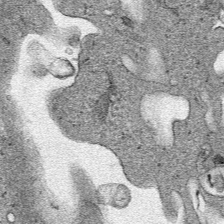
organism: Human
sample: Mitochondria in HCT116 cells